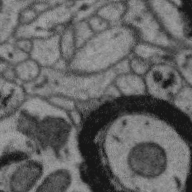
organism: Zebra finch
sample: Brain